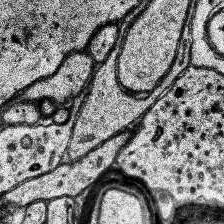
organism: Human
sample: Temporal Lobe